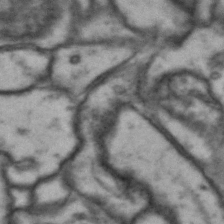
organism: Drosophila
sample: Brain